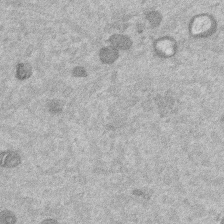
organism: Mouse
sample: Dividing mouse embryo 1 cell stage